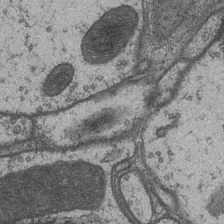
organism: Drosophila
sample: Optic medulla